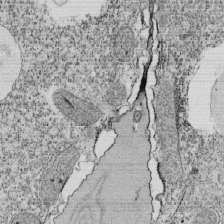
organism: Tetrahymena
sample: Cilia in tetrahymena